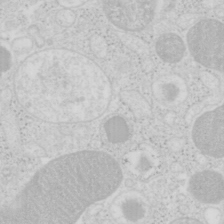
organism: Mouse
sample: Pancreas